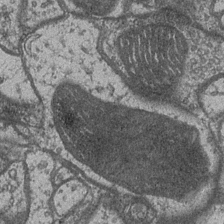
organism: Drosophila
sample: Optic medulla